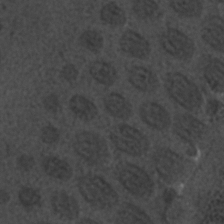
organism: C. elegans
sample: C. elegans embryo